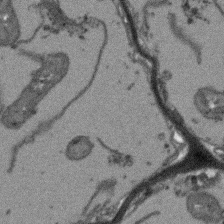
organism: Arabidopsis thaliana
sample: Root tip